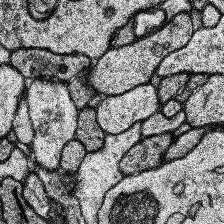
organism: Human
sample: Temporal Lobe